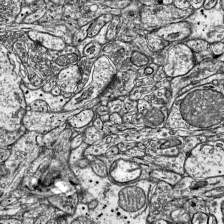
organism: Mouse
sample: Visual Cortex